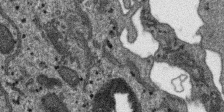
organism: Human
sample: Lung epithelial cells infected with SARS-CoV-2